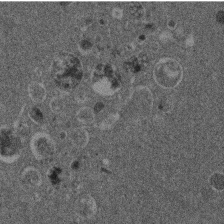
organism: Mouse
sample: Dividing mouse embryo 1 cell stage